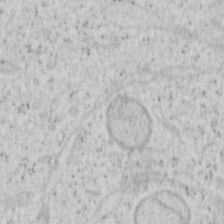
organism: Human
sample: HeLa cells